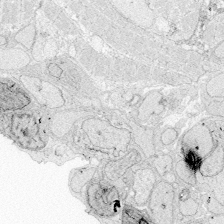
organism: Zebrafish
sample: Whole-Brain